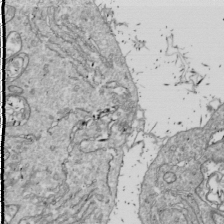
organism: Drosophila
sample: Cell division; meiosis; drosophila spermatocytes